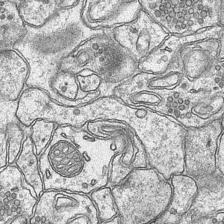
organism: Mouse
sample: CA1 Hippocampus